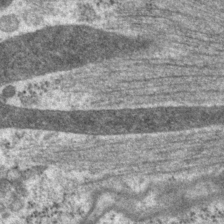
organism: P. pacificus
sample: Pharynx